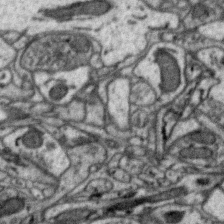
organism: Zebra finch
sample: Brain